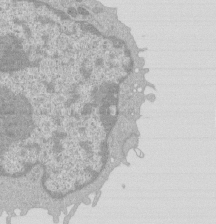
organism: Mouse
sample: Activated Pmel transgenic CD8+ T Cells